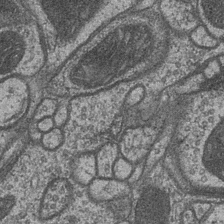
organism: Drosophila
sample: Optic medulla